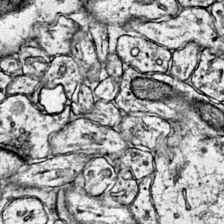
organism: Mouse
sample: Primary visual cortex